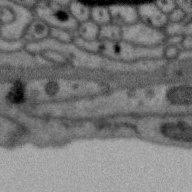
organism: Zebra finch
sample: Brain